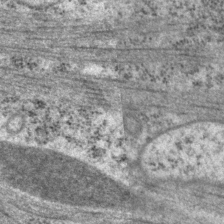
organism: P. pacificus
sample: Pharynx